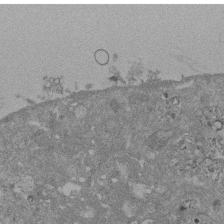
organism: Mouse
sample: ED-1 cell nuclei; centrioles